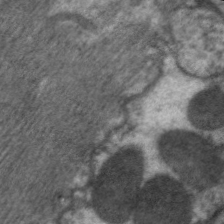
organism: C. elegans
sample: Pharynx